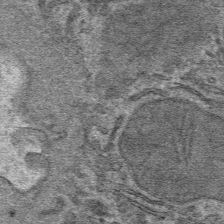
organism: Mouse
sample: Mouse hepatocytes